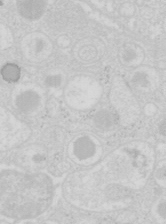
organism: Mouse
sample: Pancreas